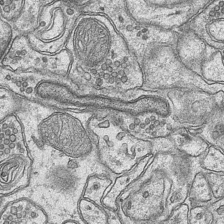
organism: Mouse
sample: CA1 Hippocampus